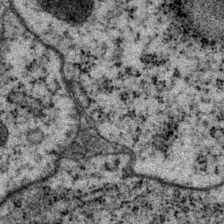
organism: P. pacificus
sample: Pharynx